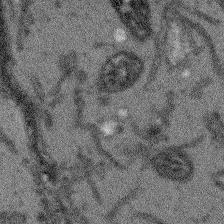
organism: Arabidopsis thaliana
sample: Root tip